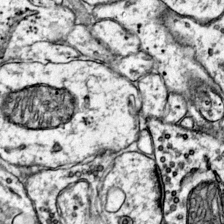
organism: Mouse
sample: Primary visual cortex